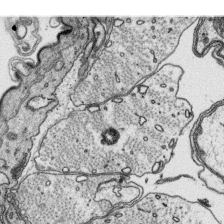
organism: Platynereis dumerilii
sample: Parapodia